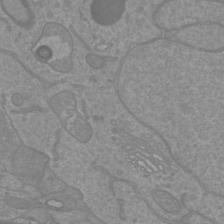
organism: Mouse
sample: Cortical neurons